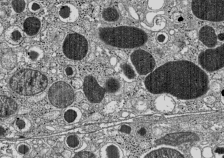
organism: C57BL Mouse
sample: Pancreatic islet